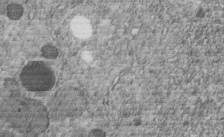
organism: C. elegans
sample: C. elegans embryo early stage